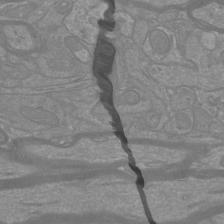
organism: Mouse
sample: Cortical neurons